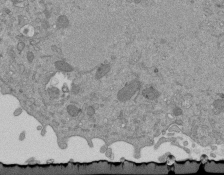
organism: Mouse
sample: ED-1 cell nuclei; centrioles